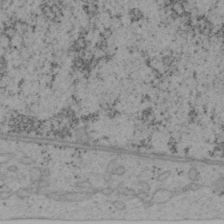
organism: Human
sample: HeLa cells